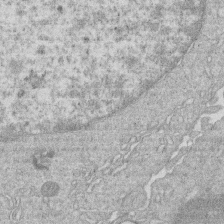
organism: Human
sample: Macrophage cells